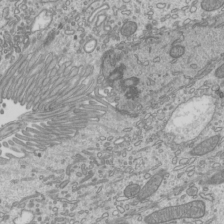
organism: Mouse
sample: Cilia; mouse epididymis